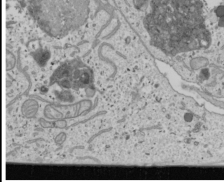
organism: Human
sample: Mitochondria in U2OS cells